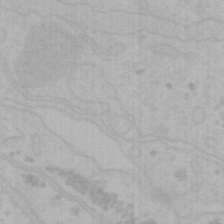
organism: Mouse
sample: Choroid plexus